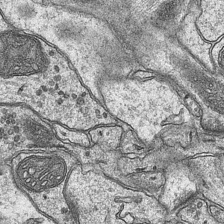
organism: Mouse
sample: CA1 Hippocampus